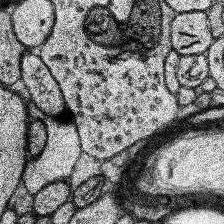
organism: Human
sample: Temporal Lobe